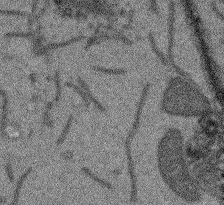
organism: Arabidopsis thaliana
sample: Root tip